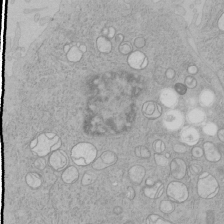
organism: Human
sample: Mitochondria in HCT116 cells